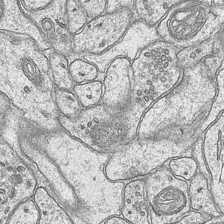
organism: Mouse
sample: CA1 Hippocampus